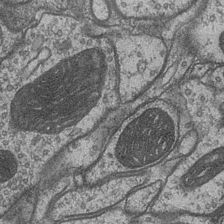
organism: Drosophila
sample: Optic medulla